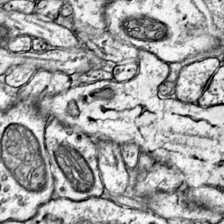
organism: Mouse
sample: Primary visual cortex